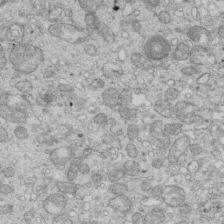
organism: Mouse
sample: Multiciliated cells